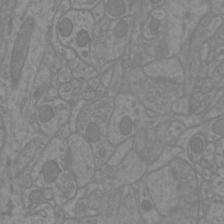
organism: Mouse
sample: Cortical neurons